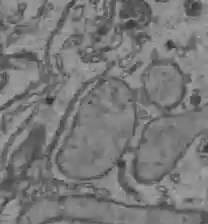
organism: C57BL Mouse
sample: Liver